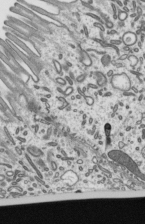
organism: Mouse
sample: Mouse epididymis efferent ductule cilia